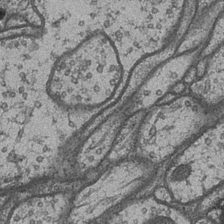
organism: Drosophila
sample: Optic medulla